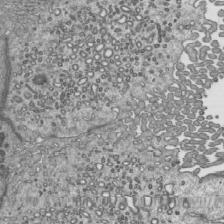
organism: Mouse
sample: Mouse epididymis efferent ductule cilia